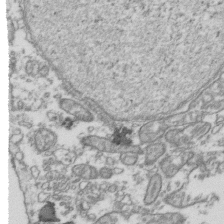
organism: Human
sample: Activated Jurkat CD4+ T cells